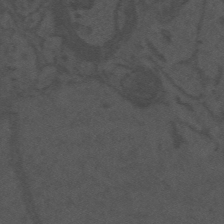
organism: Mouse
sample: Suprachiasmatic nucleus